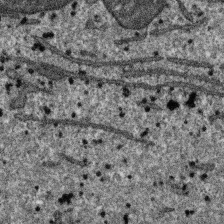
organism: Human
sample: Lung epithelial cells infected with SARS-CoV-2